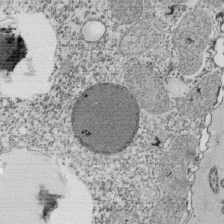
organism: Tetrahymena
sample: Cilia in tetrahymena